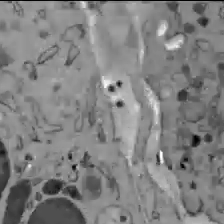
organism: C57BL Mouse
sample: Liver